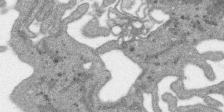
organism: Human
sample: Lung epithelial cells infected with SARS-CoV-2